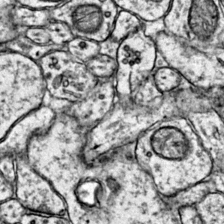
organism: Mouse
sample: Primary visual cortex